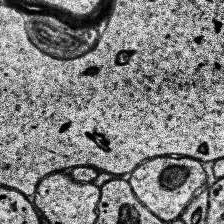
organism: Human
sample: Temporal Lobe